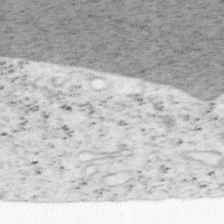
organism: Mouse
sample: OT-I killer T cells with ID8 ovarian cancer cells